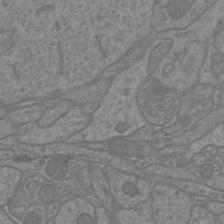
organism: Mouse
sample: Cortical neurons